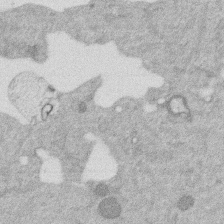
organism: Mouse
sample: Dividing mouse embryo 1 cell stage